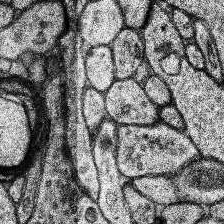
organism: Human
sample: Temporal Lobe